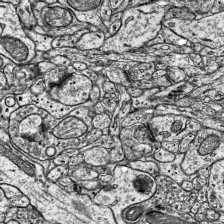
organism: Mouse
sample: Visual Cortex